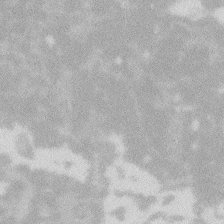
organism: Zebrafish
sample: Macrophage